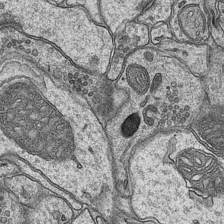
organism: Mouse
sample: CA1 Hippocampus